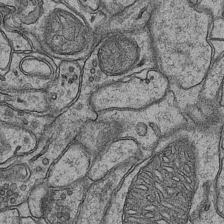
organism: Mouse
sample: CA1 Hippocampus